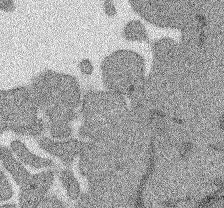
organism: Human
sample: HeLa cells